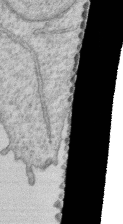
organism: Human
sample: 1205lu cells